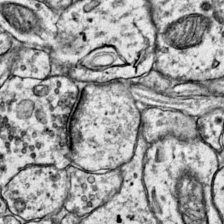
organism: Mouse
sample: Primary visual cortex